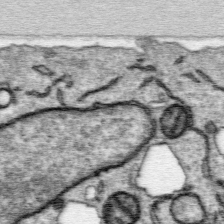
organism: Human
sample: HeLa cells